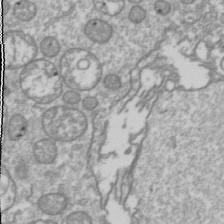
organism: Drosophila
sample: Cell division; meiosis; drosophila spermatocytes